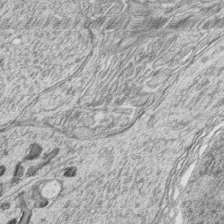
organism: Zebrafish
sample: synaptic ribbons in rod cells and cone cells